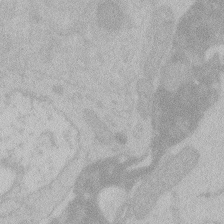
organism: Zebrafish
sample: Macrophage infected with Toxoplasma gondii